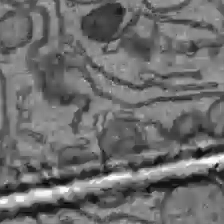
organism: C57BL Mouse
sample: Liver